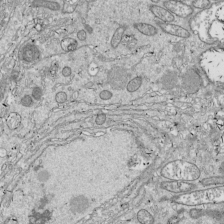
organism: Drosophila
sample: Cell division; meiosis; drosophila spermatocytes